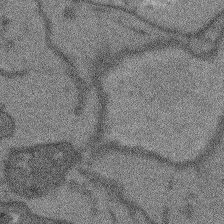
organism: Arabidopsis thaliana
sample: Root tip